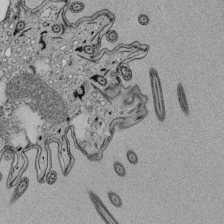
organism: Tetrahymena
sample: Cilia in tetrahymena